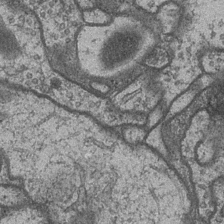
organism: Drosophila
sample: Optic medulla